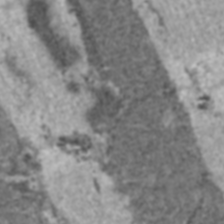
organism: C57BL Mouse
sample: Heart